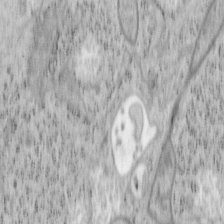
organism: Human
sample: HeLa cells